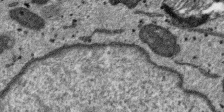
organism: Human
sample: Lung epithelial cells, uninfected (mock) control